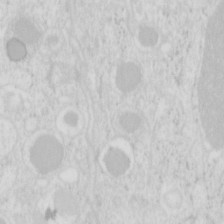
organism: Mouse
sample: Pancreas